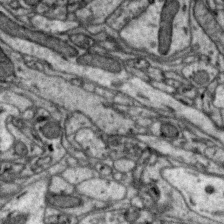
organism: Zebra finch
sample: Brain